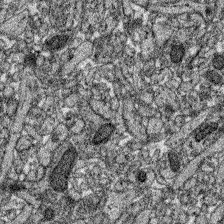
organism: Zebrafish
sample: Larval olfactory bulb